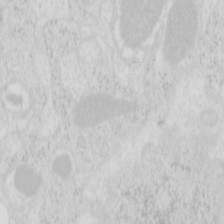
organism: Mouse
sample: Pancreas